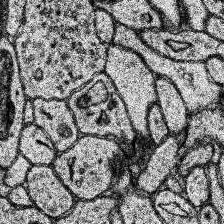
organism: Human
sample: Temporal Lobe